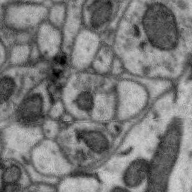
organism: Zebra finch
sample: Brain